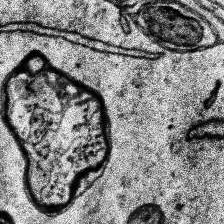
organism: Human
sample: Temporal Lobe